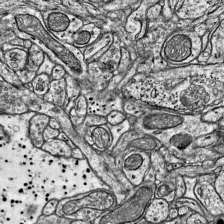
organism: Mouse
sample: Visual Cortex